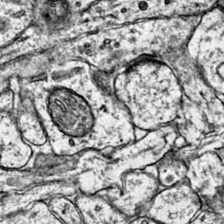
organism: Mouse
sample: Primary visual cortex